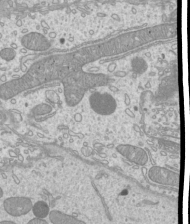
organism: Mouse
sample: Cilia; mouse epididymis